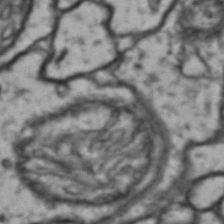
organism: Drosophila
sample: Brain